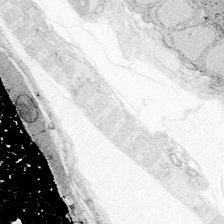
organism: Zebrafish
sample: Whole-Brain